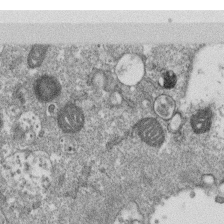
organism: African green monkey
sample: Vero E6 cells infected with SARS-CoV-2